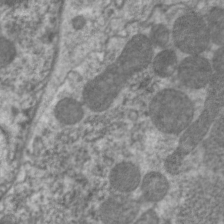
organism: C. elegans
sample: Pharynx